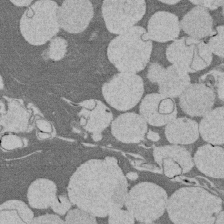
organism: Rat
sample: Salivary granule